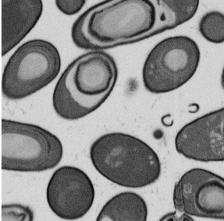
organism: B. subtilis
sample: Bacterial spore